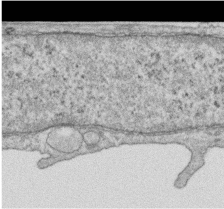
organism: Human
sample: Centriole in RPE cells